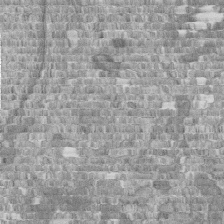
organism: Human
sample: Centriole in fibroblast cells